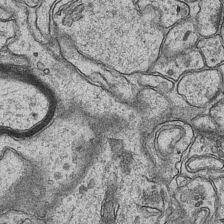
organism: Mouse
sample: CA1 Hippocampus